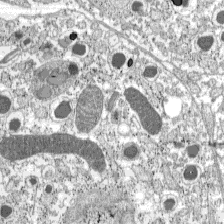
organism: C57BL Mouse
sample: Pancreatic islet